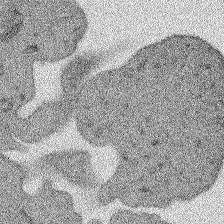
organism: Human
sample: HeLa cells